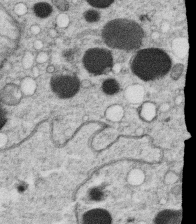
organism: C. elegans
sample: C. elegans oocyte; sperm cells